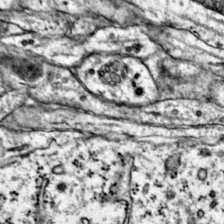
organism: Mouse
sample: Primary visual cortex